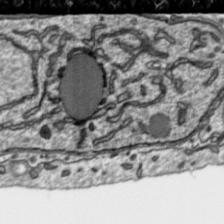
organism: Toxoplasma gondii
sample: Parasites in a vacuole inside a host cell